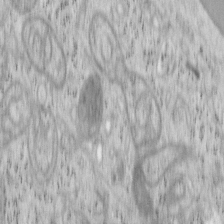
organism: Human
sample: HeLa cells